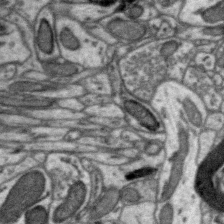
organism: Zebra finch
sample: Brain